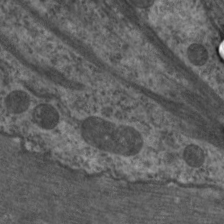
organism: C. elegans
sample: Pharynx